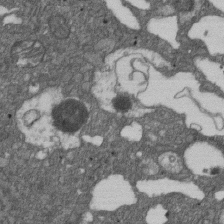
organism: Drosophila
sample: Nephrocyte